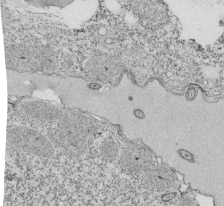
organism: Tetrahymena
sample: Cilia in tetrahymena